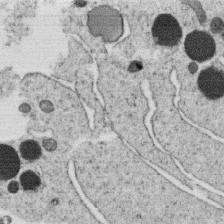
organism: C. elegans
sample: C. elegans oocyte; sperm cells